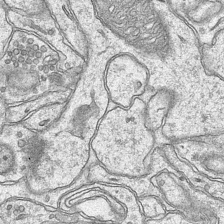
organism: Mouse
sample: CA1 Hippocampus